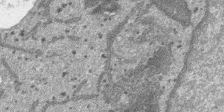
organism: Human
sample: Lung epithelial cells infected with SARS-CoV-2